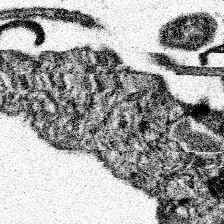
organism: Spongilla lacustris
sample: Neuroid cell